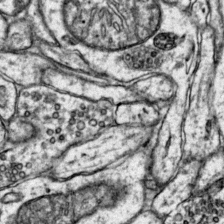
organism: Mouse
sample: Primary visual cortex